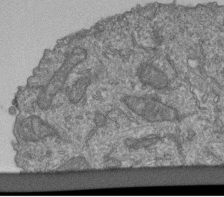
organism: Human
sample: Retinal organoid Rod and Cone cells